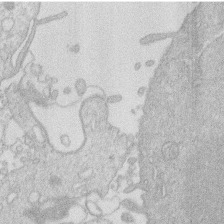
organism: Human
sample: Macrophage cells